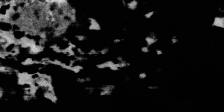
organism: Human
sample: Lung epithelial cells, uninfected (mock) control